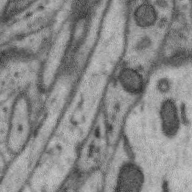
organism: Zebra finch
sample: Brain